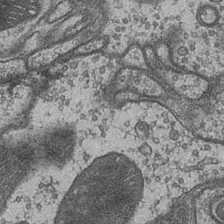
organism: Drosophila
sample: Optic medulla